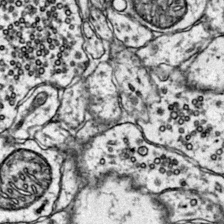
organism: Mouse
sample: Primary visual cortex